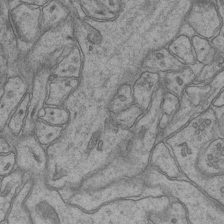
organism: Mouse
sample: CA1 Hippocampus